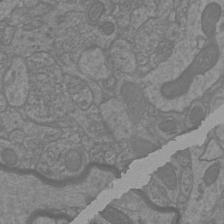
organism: Mouse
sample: Cortical neurons